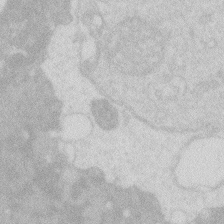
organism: Zebrafish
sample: Macrophage